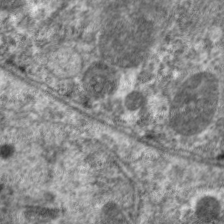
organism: C. elegans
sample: Pharynx